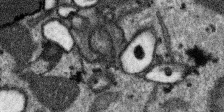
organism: Human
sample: Lung epithelial cells infected with SARS-CoV-2